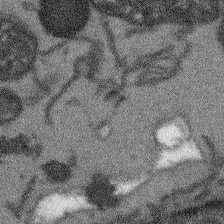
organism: Arabidopsis thaliana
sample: Root tip